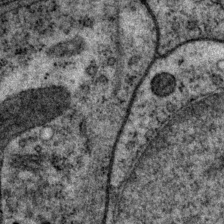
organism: P. pacificus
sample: Pharynx